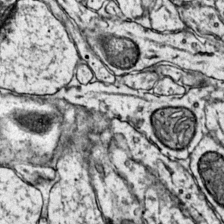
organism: Mouse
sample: Primary visual cortex